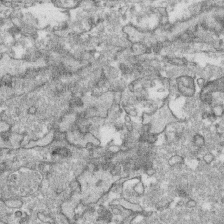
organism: Human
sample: CRL-1474